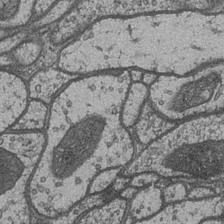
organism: Drosophila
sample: Optic medulla